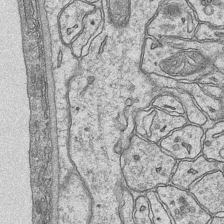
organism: Mouse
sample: CA1 Hippocampus